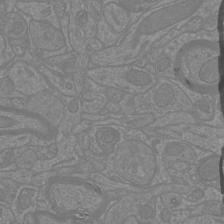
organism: Mouse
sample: Cortical neurons